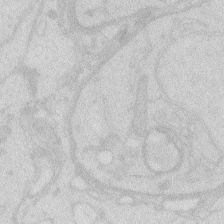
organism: Zebrafish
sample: Macrophage